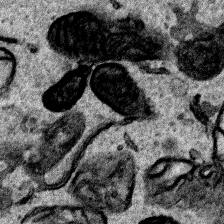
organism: Human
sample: Mitochondria in HCT116 cells